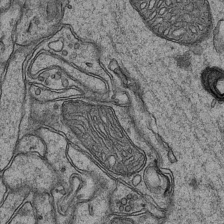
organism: Mouse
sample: CA1 Hippocampus